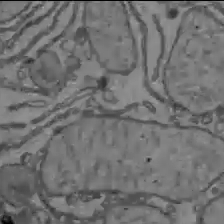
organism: C57BL Mouse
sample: Liver